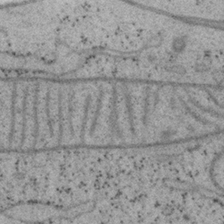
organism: Human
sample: HeLa cells